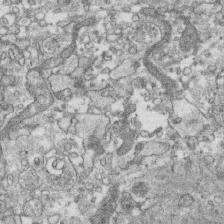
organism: Human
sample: CRL-1474